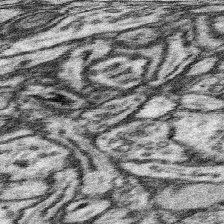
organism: Mouse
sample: Somatosensory cortex neuropil